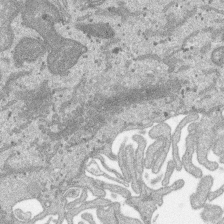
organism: Human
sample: Lung epithelial cells infected with SARS-CoV-2